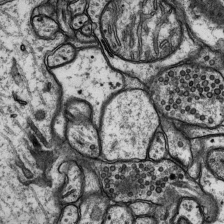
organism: Rat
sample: Hippocampus